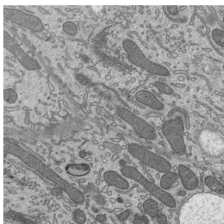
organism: Mouse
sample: Mouse epididymis efferent ductule cilia